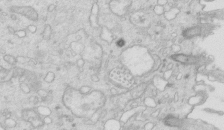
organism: Mouse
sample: Multiciliated cells